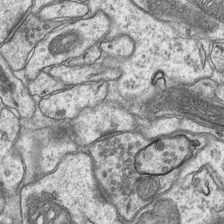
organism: Mouse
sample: CA1 Hippocampus